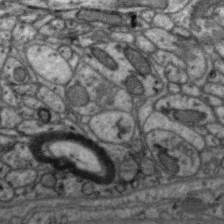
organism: Zebra finch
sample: Brain